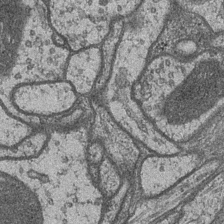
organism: Drosophila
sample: Optic medulla